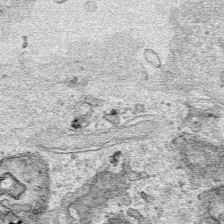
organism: Human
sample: Mitochondria in HCT116 cells